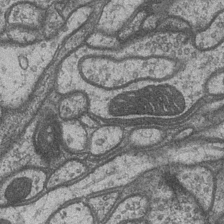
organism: Drosophila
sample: Optic medulla